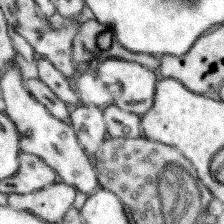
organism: Mouse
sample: Somatosensory cortex neuropil